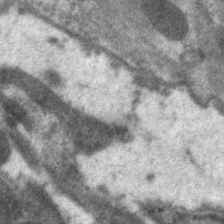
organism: C. elegans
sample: Pharynx